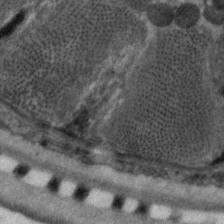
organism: C. elegans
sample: Pharynx